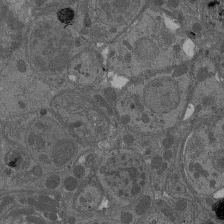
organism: Drosophila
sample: Antenna